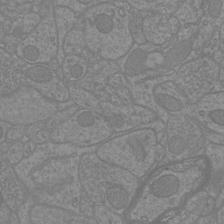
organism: Mouse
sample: Cortical neurons